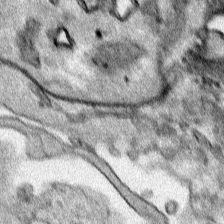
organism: Human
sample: Mitochondria in HCT116 cells